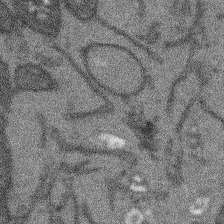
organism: Arabidopsis thaliana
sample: Root tip